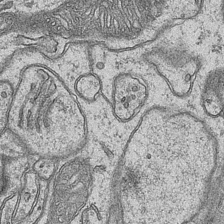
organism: Mouse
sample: CA1 Hippocampus